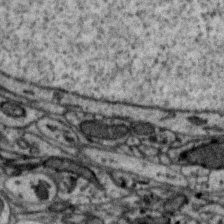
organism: Zebra finch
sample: Brain